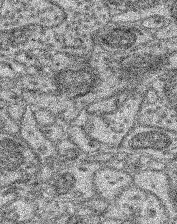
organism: Mouse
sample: Retina